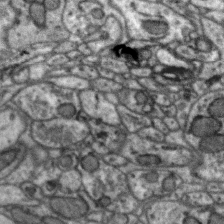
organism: Zebra finch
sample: Brain